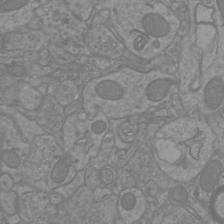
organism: Mouse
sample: Cortical neurons